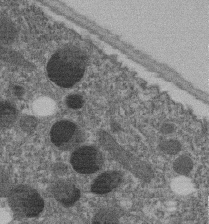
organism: C. elegans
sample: C. elegans embryo early stage